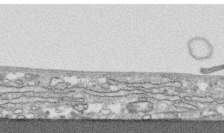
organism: Human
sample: CRL-1474